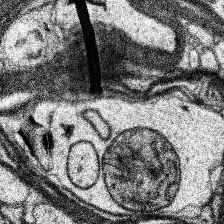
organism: Human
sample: Temporal Lobe